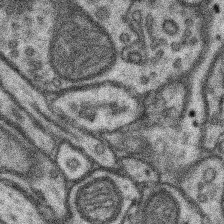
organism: Mouse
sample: Somatosensory cortex neuropil